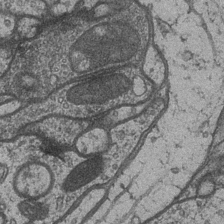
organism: Drosophila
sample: Optic medulla